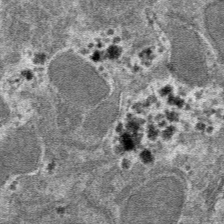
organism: Mouse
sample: Mouse hepatocytes